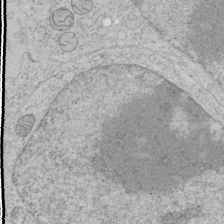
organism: Human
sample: Mitochondria in HCT116 cells